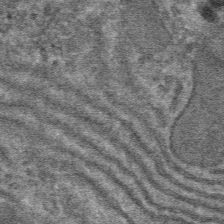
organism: Mouse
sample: Mouse hepatocytes